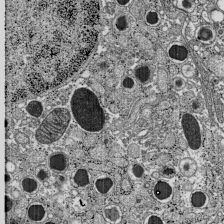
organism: C57BL Mouse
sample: Pancreatic islet